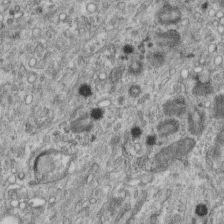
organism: Mouse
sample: Centriole in ependymal cells